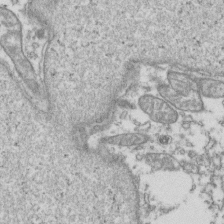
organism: Human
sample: Activated Jurkat CD4+ T cells